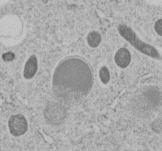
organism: C. elegans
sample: C. elegans embryo early stage